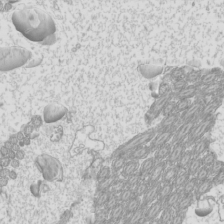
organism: Mouse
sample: Cilia; mouse epididymis